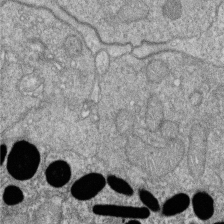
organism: Zebrafish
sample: Cilia; retinal pigment epithelium